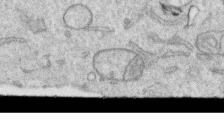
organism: Human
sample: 1205lu cells